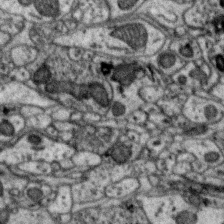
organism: Zebra finch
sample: Brain